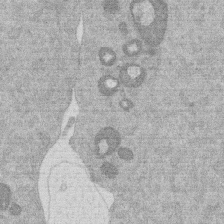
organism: Mouse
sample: Dividing mouse embryo 1 cell stage